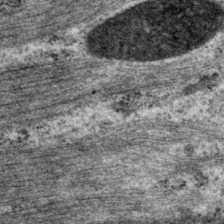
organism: P. pacificus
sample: Pharynx